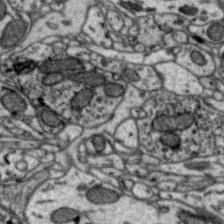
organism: Zebra finch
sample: Brain